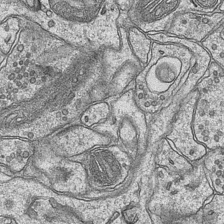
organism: Mouse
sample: CA1 Hippocampus